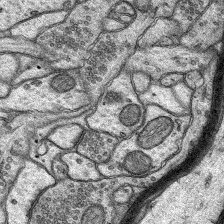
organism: Rat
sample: Hippocampus